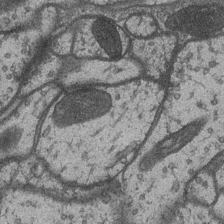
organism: Drosophila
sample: Optic medulla